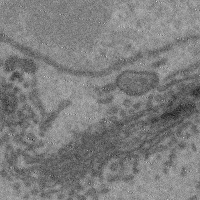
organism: Mouse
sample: Cerebral cortex